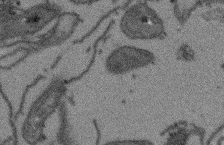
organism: Arabidopsis thaliana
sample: Root tip